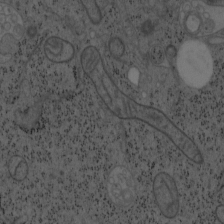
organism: Mouse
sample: OT-I killer T cells with ID8 ovarian cancer cells